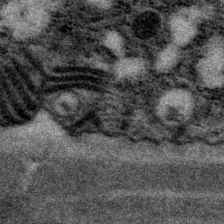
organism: P. pacificus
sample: Pharynx